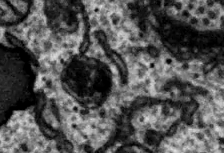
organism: Human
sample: HeLa cells